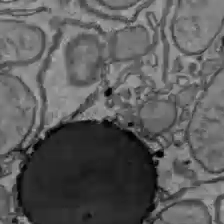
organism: C57BL Mouse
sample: Liver